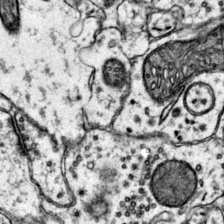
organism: Mouse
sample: Primary visual cortex